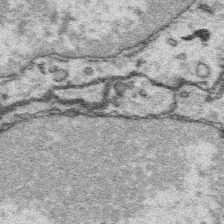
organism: Platynereis dumerilii